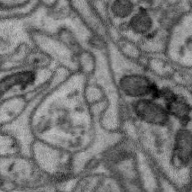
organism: Zebra finch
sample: Brain